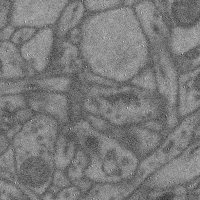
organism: Mouse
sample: Cerebral cortex